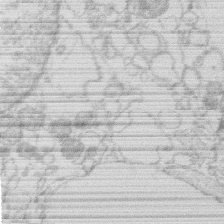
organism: Human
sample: Macrophage cells